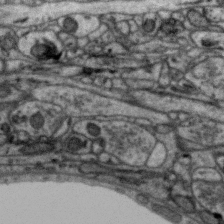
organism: Zebra finch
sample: Brain